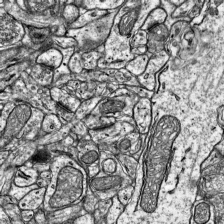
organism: Mouse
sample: Visual Cortex